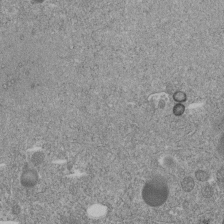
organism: C. elegans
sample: C. elegans embryo early stage